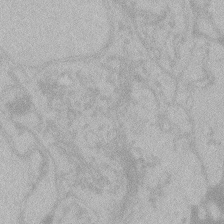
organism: Zebrafish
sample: Macrophage infected with Toxoplasma gondii